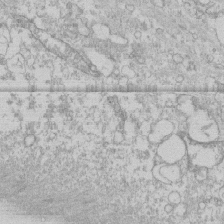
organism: Human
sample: CRL-1474